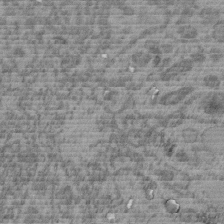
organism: C. elegans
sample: C. elegans embryo early stage